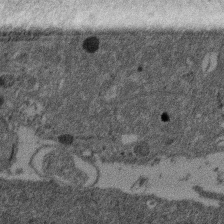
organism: Mouse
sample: Dividing mouse embryo 1 cell stage